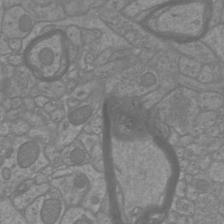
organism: Mouse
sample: Cortical neurons